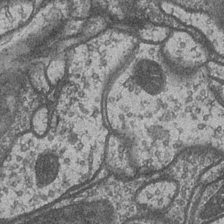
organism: Drosophila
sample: Optic medulla